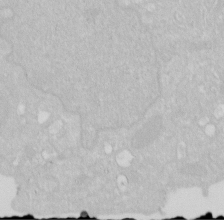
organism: Human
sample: HIV infected U937 cells